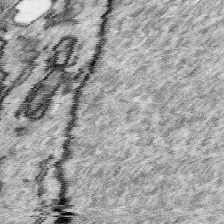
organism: Human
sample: HeLa cells